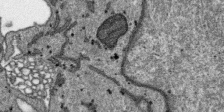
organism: Human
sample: Lung epithelial cells, uninfected (mock) control